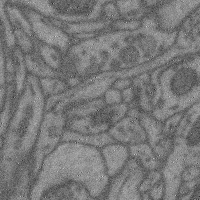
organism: Mouse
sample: Cerebral cortex